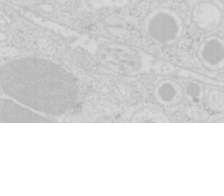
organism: Mouse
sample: Pancreas